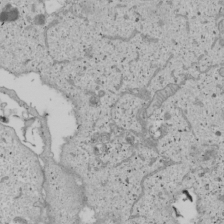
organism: Human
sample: Mitochondria in U2OS cells